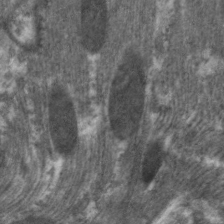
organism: C. elegans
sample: Pharynx